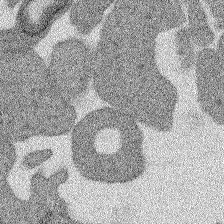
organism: Human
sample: HeLa cells